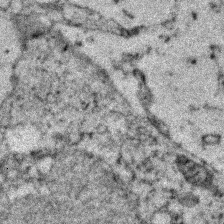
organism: Zebrafish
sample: Zebrafish embryo